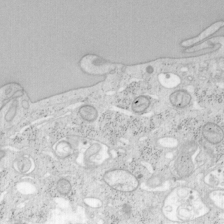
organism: Mouse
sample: OT-I killer T cells with ID8 ovarian cancer cells